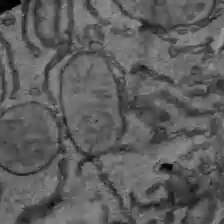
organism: C57BL Mouse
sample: Liver